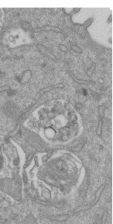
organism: Mouse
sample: ED-1 cell nuclei; centrioles